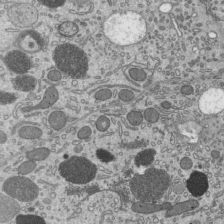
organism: Mouse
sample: Mouse epididymis efferent ductule cilia